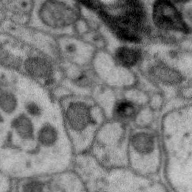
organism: Zebra finch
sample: Brain